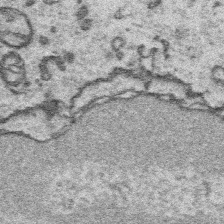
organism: Platynereis dumerilii